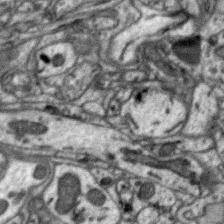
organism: Zebra finch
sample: Brain